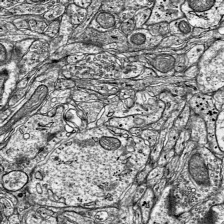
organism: Mouse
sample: Visual Cortex